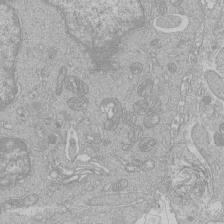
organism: Human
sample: Macrophage cells